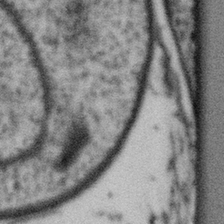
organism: Gemmata obscuriglobus